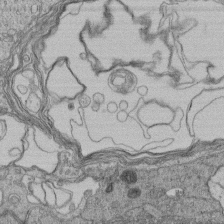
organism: Human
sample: Retinal organoid Rod and Cone cells